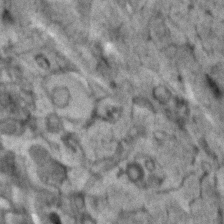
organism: Human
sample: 1205lu cells